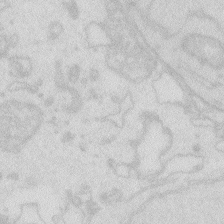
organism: Zebrafish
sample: Macrophage